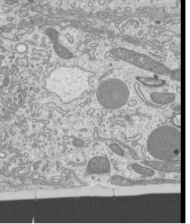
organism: Mouse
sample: Cilia; mouse epididymis